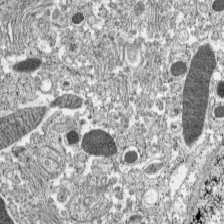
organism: C57BL Mouse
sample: Pancreatic islet